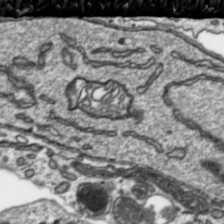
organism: Toxoplasma gondii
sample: Parasites in a vacuole inside a host cell